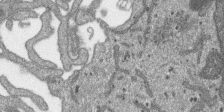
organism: Human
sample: Lung epithelial cells infected with SARS-CoV-2